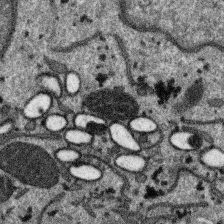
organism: Human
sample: Lung epithelial cells infected with SARS-CoV-2